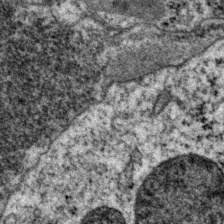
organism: P. pacificus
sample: Pharynx